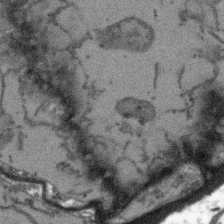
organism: Arabidopsis thaliana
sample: Root tip